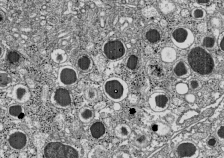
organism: C57BL Mouse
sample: Pancreatic islet